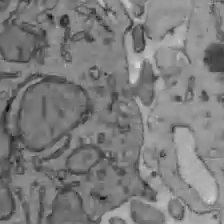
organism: C57BL Mouse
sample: Liver